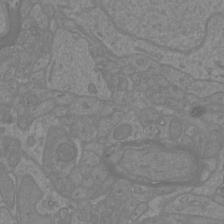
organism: Mouse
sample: Cortical neurons